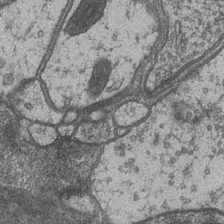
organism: Drosophila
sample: Optic medulla